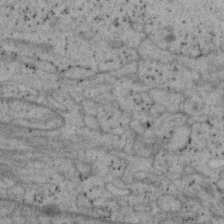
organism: Human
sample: HeLa cells